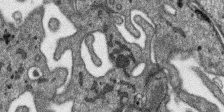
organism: Human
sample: Lung epithelial cells infected with SARS-CoV-2